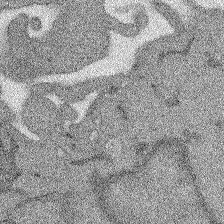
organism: Human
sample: HeLa cells